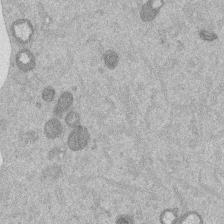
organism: Mouse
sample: Dividing mouse embryo 1 cell stage